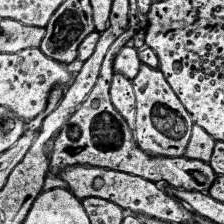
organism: Human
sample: Temporal Lobe